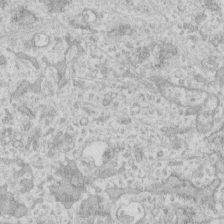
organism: Human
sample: Fibroblast cells